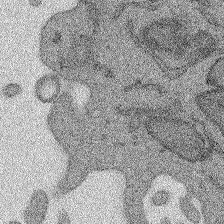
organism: Human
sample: HeLa cells